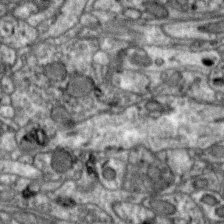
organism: Zebra finch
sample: Brain